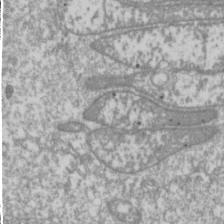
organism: Drosophila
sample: Cell division; meiosis; drosophila spermatocytes